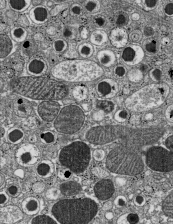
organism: C57BL Mouse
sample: Pancreatic islet